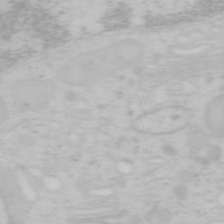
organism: Mouse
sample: OT-I killer T cells with ID8 ovarian cancer cells